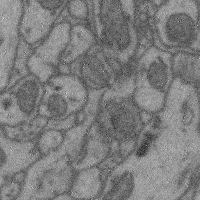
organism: Mouse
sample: Cerebral cortex